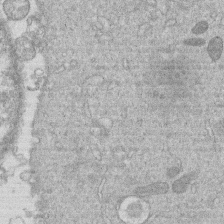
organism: Human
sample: Macrophage cells